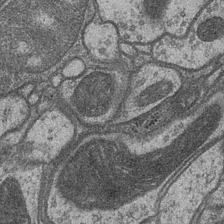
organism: Drosophila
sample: Optic medulla